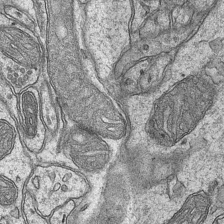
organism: Mouse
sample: CA1 Hippocampus